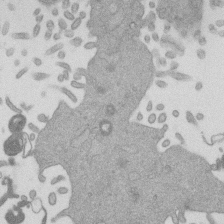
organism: Mouse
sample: Dividing mouse embryo 1 cell stage